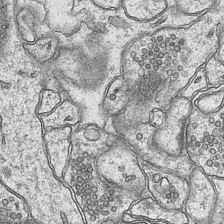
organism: Mouse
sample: CA1 Hippocampus